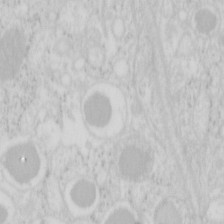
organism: Mouse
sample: Pancreas